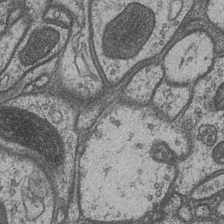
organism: Drosophila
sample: Optic medulla